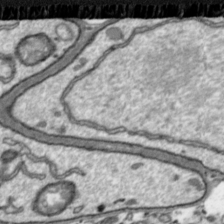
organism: Toxoplasma gondii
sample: Parasites in a vacuole inside a host cell